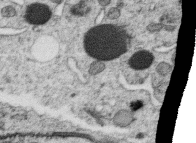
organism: C. elegans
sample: C. elegans oocyte; sperm cells